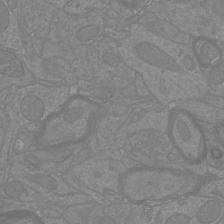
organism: Mouse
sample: Cortical neurons